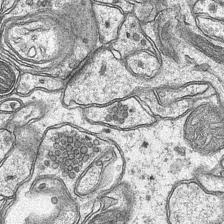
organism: Mouse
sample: CA1 Hippocampus